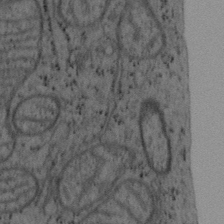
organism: Human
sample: HeLa cells